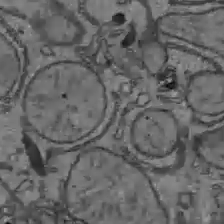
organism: C57BL Mouse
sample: Liver